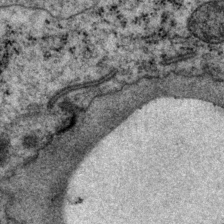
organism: P. pacificus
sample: Pharynx